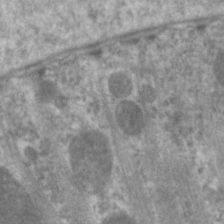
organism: C. elegans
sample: Pharynx